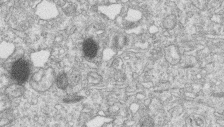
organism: Human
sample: HeLa cell HIV synapse